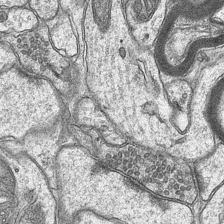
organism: Mouse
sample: CA1 Hippocampus